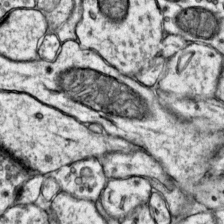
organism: Mouse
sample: Primary visual cortex